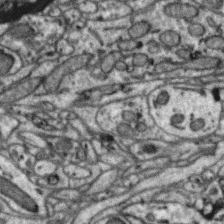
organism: Zebra finch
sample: Brain